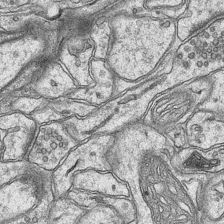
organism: Mouse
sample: CA1 Hippocampus